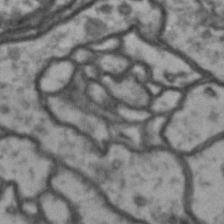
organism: Drosophila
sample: Brain